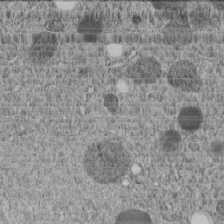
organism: C. elegans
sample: C. elegans embryo early stage